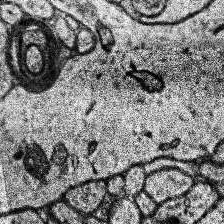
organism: Human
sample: Temporal Lobe